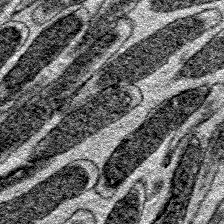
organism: E. coli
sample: E. Coli Bacteria